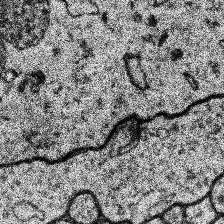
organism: Human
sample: Temporal Lobe